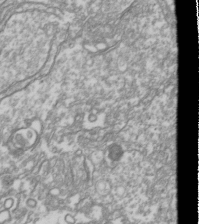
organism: Drosophila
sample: Cell division; meiosis; drosophila spermatocytes